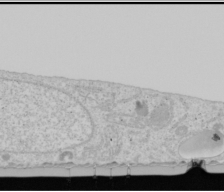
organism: Human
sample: Mitochondria in U2OS cells